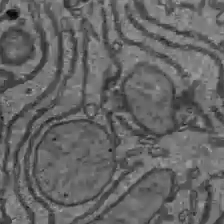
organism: C57BL Mouse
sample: Liver